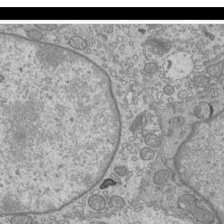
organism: Mouse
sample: Cilia; mouse epididymis